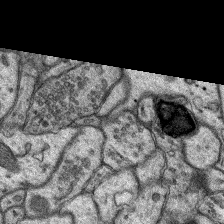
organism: Rat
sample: Hippocampus